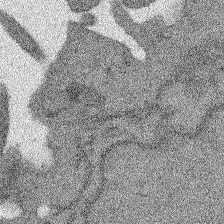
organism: Human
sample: HeLa cells